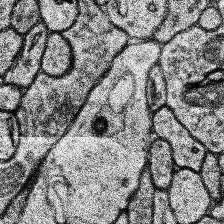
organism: Human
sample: Temporal Lobe